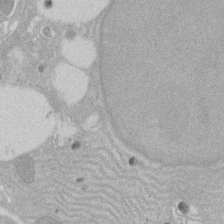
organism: Rat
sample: Salivary granule